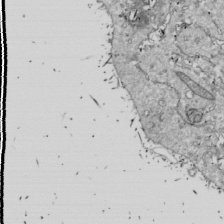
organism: Drosophila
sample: Cell division; meiosis; drosophila spermatocytes